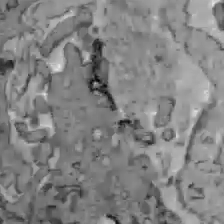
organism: C57BL Mouse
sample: Liver